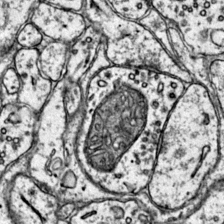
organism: Mouse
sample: Primary visual cortex